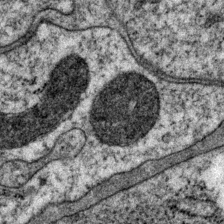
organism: P. pacificus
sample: Pharynx